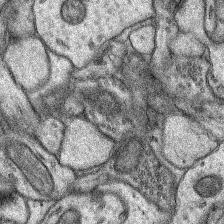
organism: Rat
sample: Hippocampus